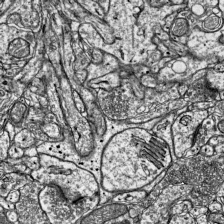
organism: Mouse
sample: Visual Cortex